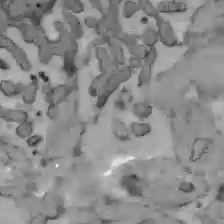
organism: C57BL Mouse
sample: Liver